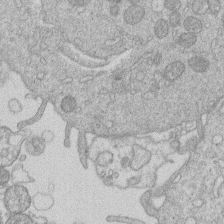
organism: Human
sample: Macrophage cells